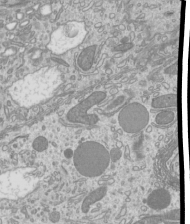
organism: Mouse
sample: Cilia; mouse epididymis